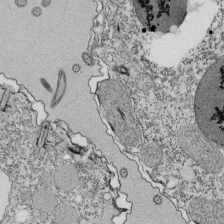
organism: Tetrahymena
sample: Cilia in tetrahymena